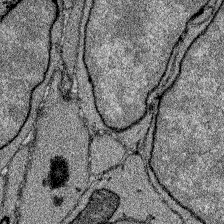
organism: Zebrafish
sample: Larval olfactory bulb